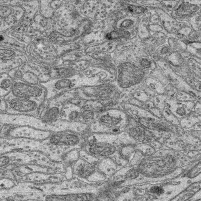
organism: Mouse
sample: Retina